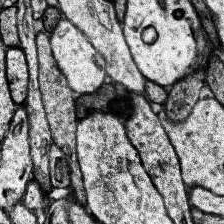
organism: Human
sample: Temporal Lobe